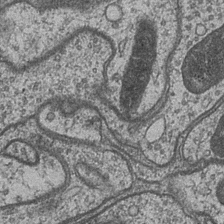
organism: Drosophila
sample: Optic medulla